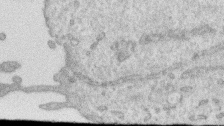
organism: Human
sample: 1205lu cells